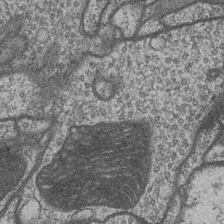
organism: Drosophila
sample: Optic medulla